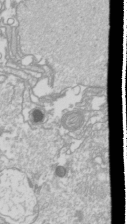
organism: Drosophila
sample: Cell division; meiosis; drosophila spermatocytes